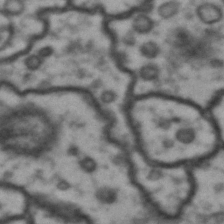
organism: Drosophila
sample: Brain